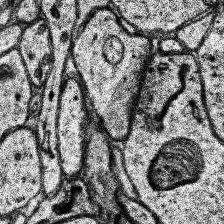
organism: Human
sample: Temporal Lobe